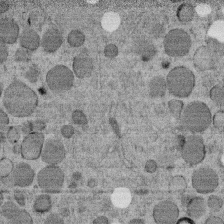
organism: C. elegans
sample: C. elegans embryo early stage